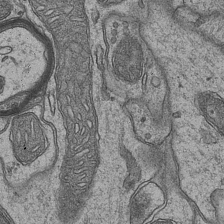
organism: Mouse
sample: CA1 Hippocampus